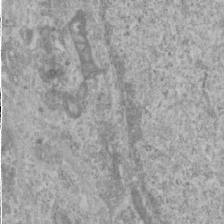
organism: Human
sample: Cilia; basal body in RPE cells